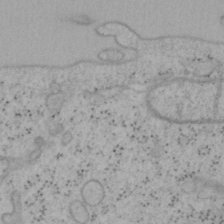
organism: Human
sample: HeLa cells